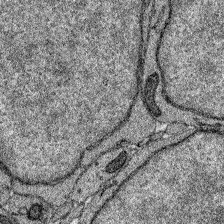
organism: Zebrafish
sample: Larval olfactory bulb